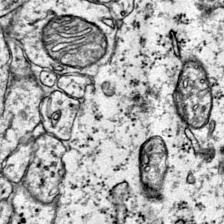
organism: Mouse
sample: Primary visual cortex